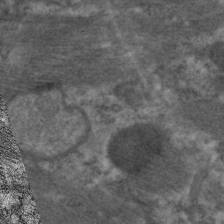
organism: C. elegans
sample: Pharynx